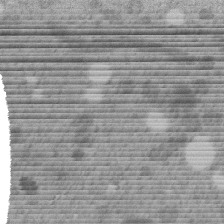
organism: C. elegans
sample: C. elegans embryo early stage